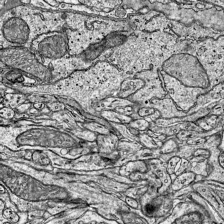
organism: Mouse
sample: Visual Cortex